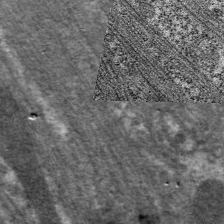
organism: C. elegans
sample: Pharynx